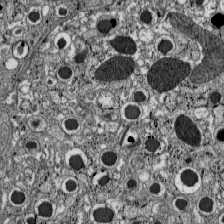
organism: C57BL Mouse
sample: Pancreatic islet